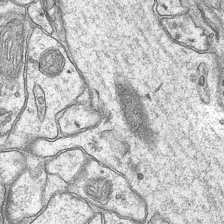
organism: Mouse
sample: CA1 Hippocampus